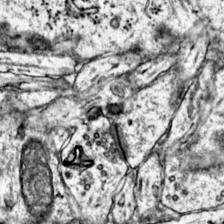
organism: Mouse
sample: Primary visual cortex